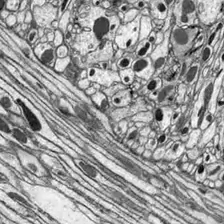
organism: Drosophila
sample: Optic lobe